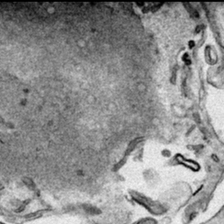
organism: Human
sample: Mitochondria in HCT116 cells